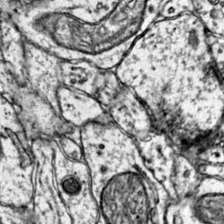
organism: Mouse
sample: Primary visual cortex